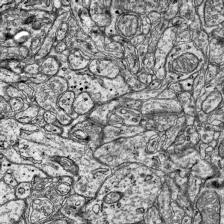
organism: Mouse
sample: Visual Cortex